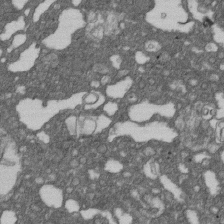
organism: Drosophila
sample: Nephrocyte